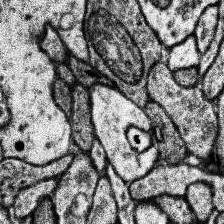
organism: Human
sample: Temporal Lobe